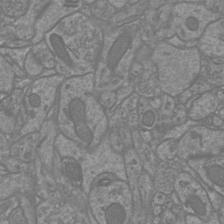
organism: Mouse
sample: Cortical neurons